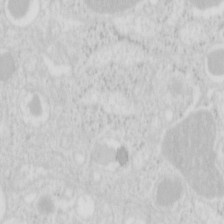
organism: Mouse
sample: Pancreas